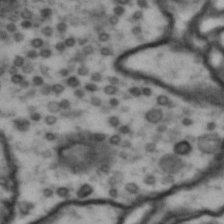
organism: Drosophila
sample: Brain